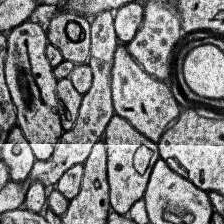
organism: Human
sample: Temporal Lobe